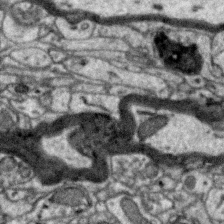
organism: Zebra finch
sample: Brain